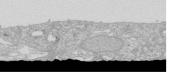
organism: Human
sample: Caco-2 cells